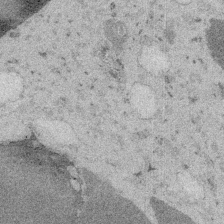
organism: Embia sp.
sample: Silk gland